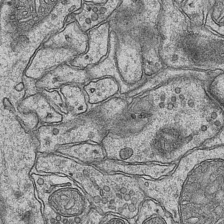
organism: Mouse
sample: CA1 Hippocampus